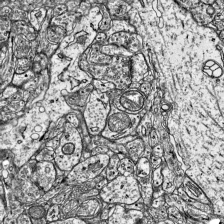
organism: Mouse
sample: Visual Cortex